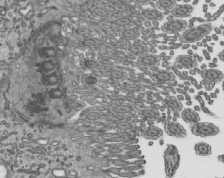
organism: Mouse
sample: Mouse epididymis efferent ductule cilia